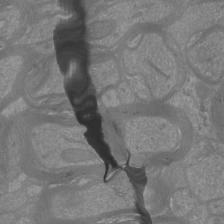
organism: Mouse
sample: Cortical neurons